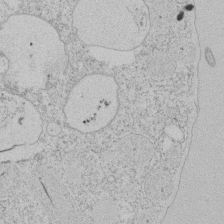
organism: Tetrahymena